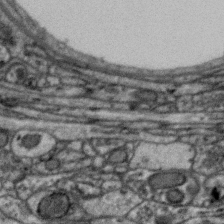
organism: Zebra finch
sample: Brain